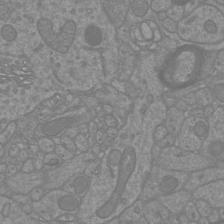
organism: Mouse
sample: Cortical neurons